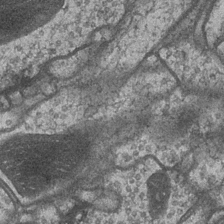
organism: Drosophila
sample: Optic medulla